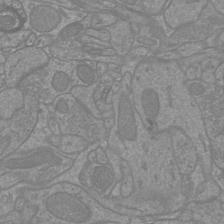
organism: Mouse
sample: Cortical neurons